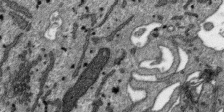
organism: Human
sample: Lung epithelial cells, uninfected (mock) control